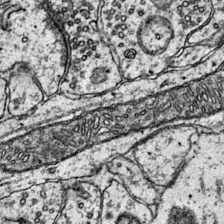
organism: Mouse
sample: Primary visual cortex